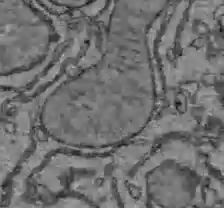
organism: C57BL Mouse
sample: Liver